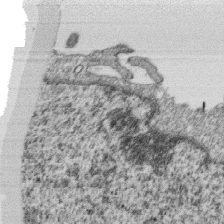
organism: African green monkey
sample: Vero E6 cells infected with SARS-CoV-2